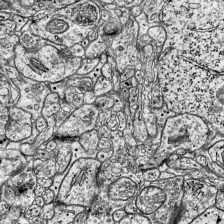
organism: Mouse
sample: Visual Cortex